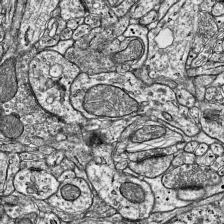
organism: Mouse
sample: Visual Cortex